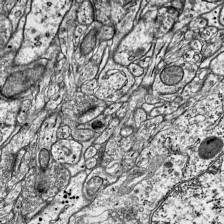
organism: Mouse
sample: Visual Cortex